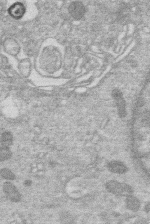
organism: Human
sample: Macrophage cells